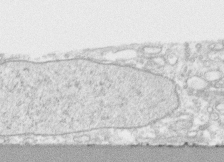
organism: Human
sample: CRL-1474